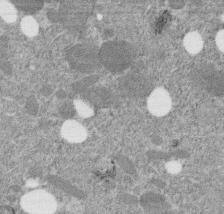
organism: C. elegans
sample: C. elegans embryo early stage